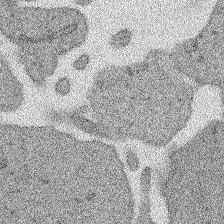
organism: Human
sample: HeLa cells